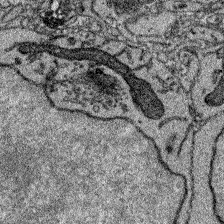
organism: Zebrafish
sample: Larval olfactory bulb